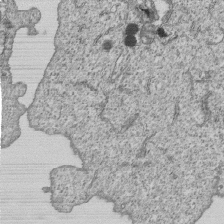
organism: Human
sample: MDA-MB-231 cells